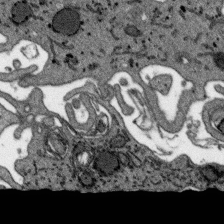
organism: Human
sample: Lung epithelial cells, uninfected (mock) control